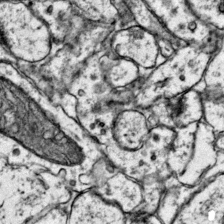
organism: Mouse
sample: Primary visual cortex